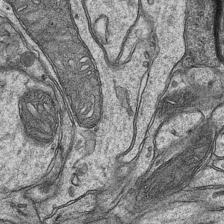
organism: Mouse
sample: CA1 Hippocampus